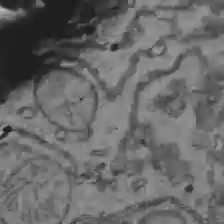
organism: C57BL Mouse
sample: Liver